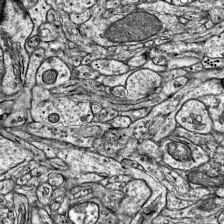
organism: Mouse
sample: Visual Cortex